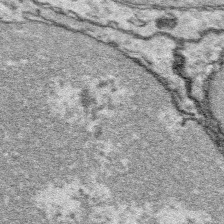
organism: Platynereis dumerilii